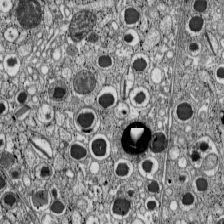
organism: C57BL Mouse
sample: Pancreatic islet